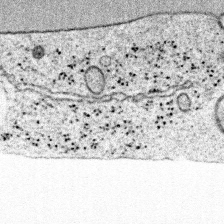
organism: Human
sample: HeLa cells